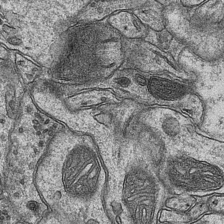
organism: Mouse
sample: CA1 Hippocampus